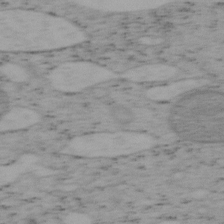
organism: Mouse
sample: OT-I killer T cells with ID8 ovarian cancer cells